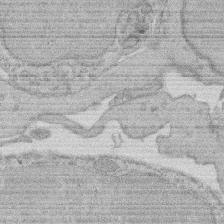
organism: Rat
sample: Salivary granule